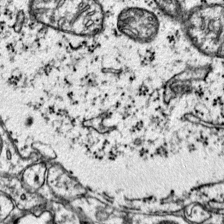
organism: Mouse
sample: Primary visual cortex